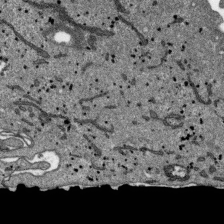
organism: Human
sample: Lung epithelial cells, uninfected (mock) control